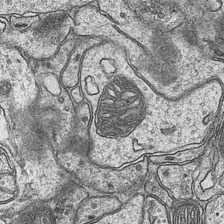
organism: Mouse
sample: CA1 Hippocampus